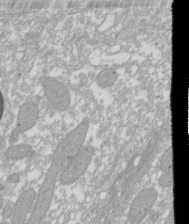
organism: Xenopus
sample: Cilia; centrioles in frog embryo cells